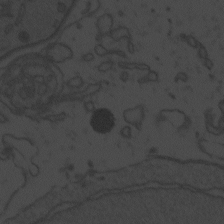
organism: Zebrafish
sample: Macrophage infected with Toxoplasma gondii